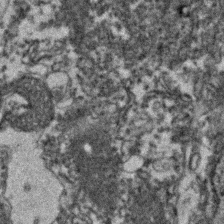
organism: Zebrafish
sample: Zebrafish embryo